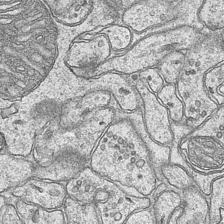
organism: Mouse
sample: CA1 Hippocampus